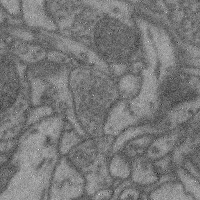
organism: Mouse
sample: Cerebral cortex